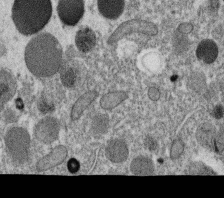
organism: C. elegans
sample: C. elegans oocyte; sperm cells